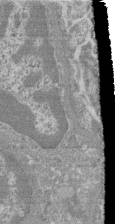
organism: Mouse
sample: Glomerulus